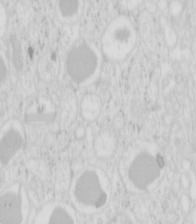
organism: Mouse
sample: Pancreas